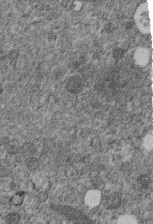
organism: C. elegans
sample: C. elegans embryo early stage